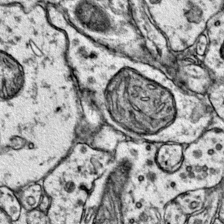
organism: Mouse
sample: Primary visual cortex